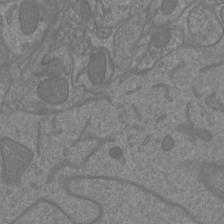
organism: Mouse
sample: Cortical neurons